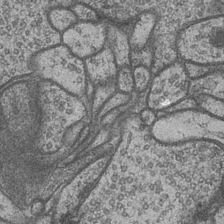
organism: Drosophila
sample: Optic medulla